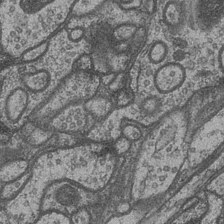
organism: Drosophila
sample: Optic medulla